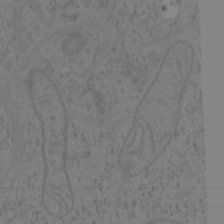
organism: Human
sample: HeLa cells